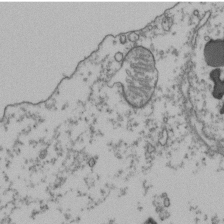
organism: Human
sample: Activated Jurkat CD4+ T cells